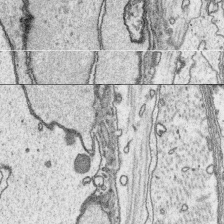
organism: Platynereis dumerilii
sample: Parapodia